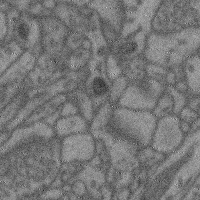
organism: Mouse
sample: Cerebral cortex